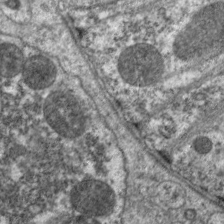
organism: C. elegans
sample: Pharynx